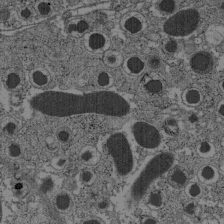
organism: C57BL Mouse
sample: Pancreatic islet